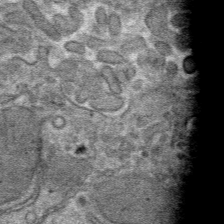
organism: Mouse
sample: Mouse hepatocytes